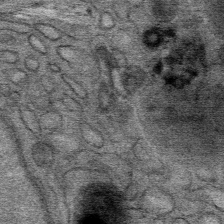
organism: Mouse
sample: Mouse Salivary gland